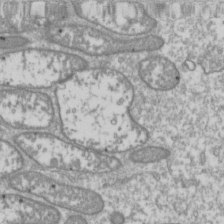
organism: Drosophila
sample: Cell division; meiosis; drosophila spermatocytes